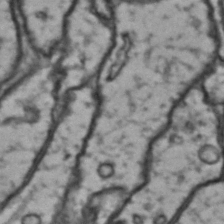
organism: Drosophila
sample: Brain